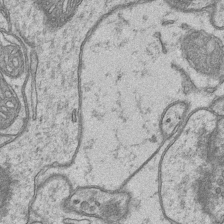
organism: Mouse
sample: CA1 Hippocampus